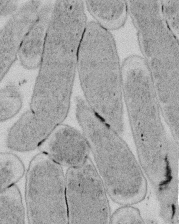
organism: E. coli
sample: Bacterial nucleoid